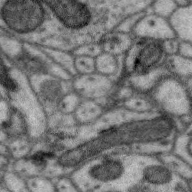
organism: Zebra finch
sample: Brain